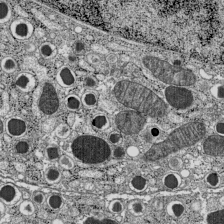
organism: C57BL Mouse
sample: Pancreatic islet